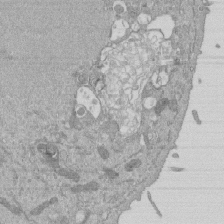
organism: Mouse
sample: ED-1 cell nuclei; centrioles